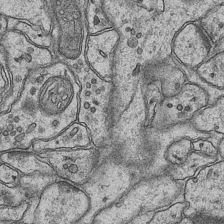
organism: Mouse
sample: CA1 Hippocampus